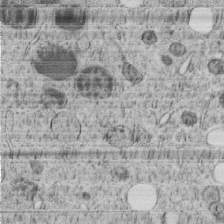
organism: C. elegans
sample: C. elegans embryo early stage